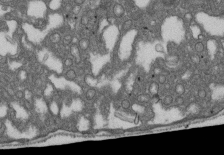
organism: Drosophila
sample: Nephrocyte